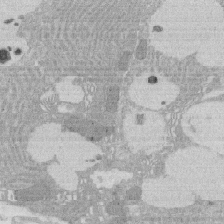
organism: Rat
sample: Salivary granule